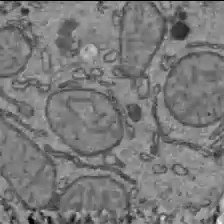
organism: C57BL Mouse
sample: Liver